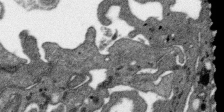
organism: Human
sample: Lung epithelial cells, uninfected (mock) control